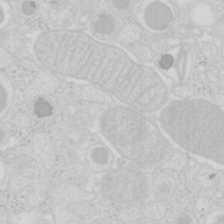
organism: Mouse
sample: Pancreas